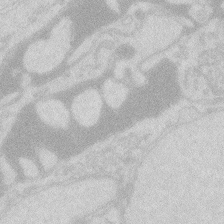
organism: Zebrafish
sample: Macrophage